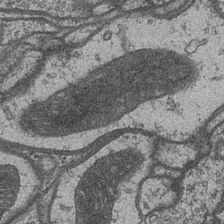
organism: Drosophila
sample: Optic medulla